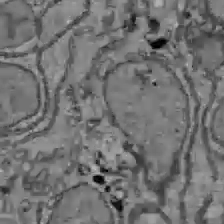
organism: C57BL Mouse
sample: Liver